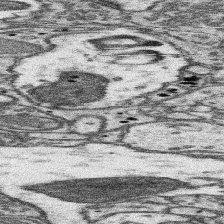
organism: Mouse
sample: Somatosensory cortex neuropil